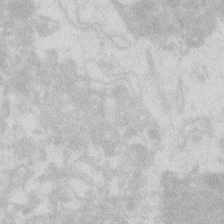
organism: Zebrafish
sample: Macrophage